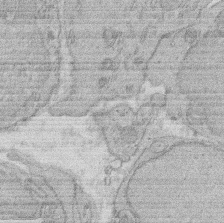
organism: Rat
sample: Salivary granule